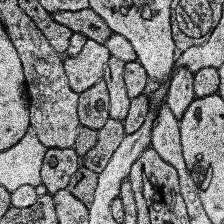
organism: Human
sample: Temporal Lobe